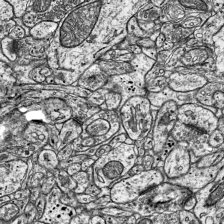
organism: Mouse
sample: Visual Cortex